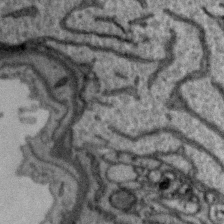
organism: Zebra finch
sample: Brain